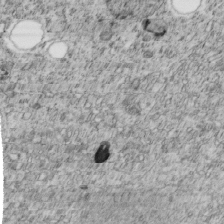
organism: C. elegans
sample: C. elegans embryo early stage